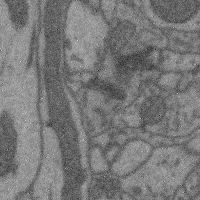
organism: Mouse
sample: Cerebral cortex